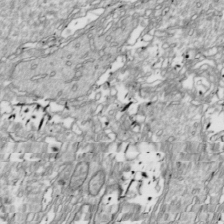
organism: Drosophila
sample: Cell division; meiosis; drosophila spermatocytes